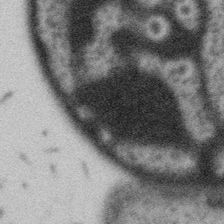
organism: Gemmata obscuriglobus